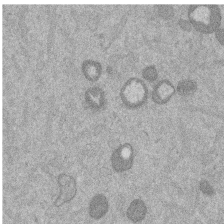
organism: Mouse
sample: Dividing mouse embryo 1 cell stage